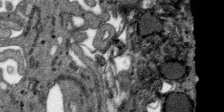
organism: Human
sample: Lung epithelial cells, uninfected (mock) control